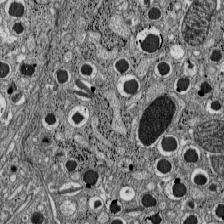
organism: C57BL Mouse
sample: Pancreatic islet